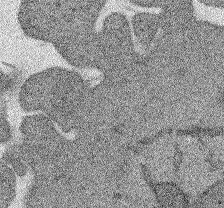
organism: Human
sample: HeLa cells